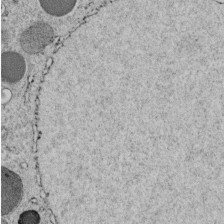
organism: C. elegans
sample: C. elegans embryo early stage